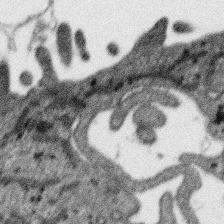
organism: Human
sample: Lung epithelial cells infected with SARS-CoV-2